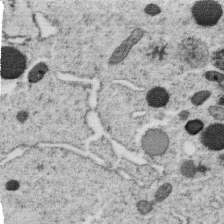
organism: C. elegans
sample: C. elegans oocyte; sperm cells